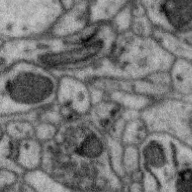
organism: Zebra finch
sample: Brain